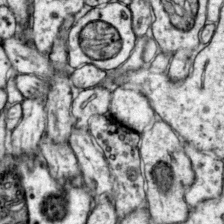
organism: Mouse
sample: Primary visual cortex